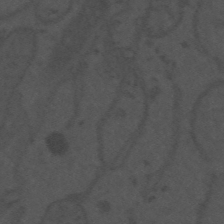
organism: Mouse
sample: Suprachiasmatic nucleus